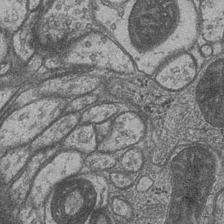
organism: Drosophila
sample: Optic medulla